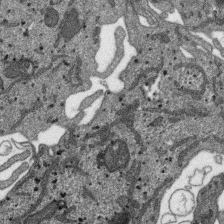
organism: Human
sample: Lung epithelial cells infected with SARS-CoV-2